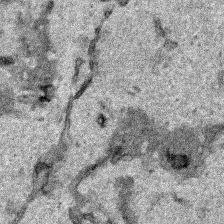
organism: Human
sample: Mitochondria in HCT116 cells